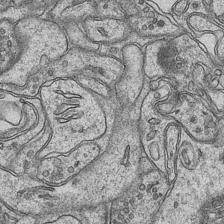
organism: Mouse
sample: CA1 Hippocampus